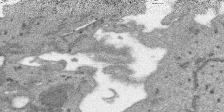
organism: Human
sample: Lung epithelial cells infected with SARS-CoV-2